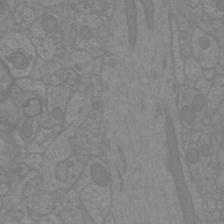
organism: Mouse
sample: Cortical neurons